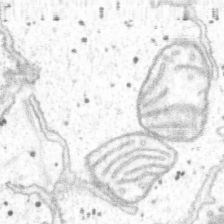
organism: Human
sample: HeLa cells